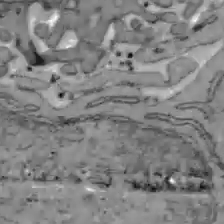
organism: C57BL Mouse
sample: Liver